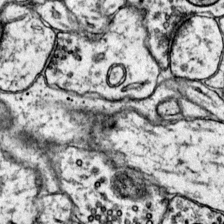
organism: Mouse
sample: Primary visual cortex